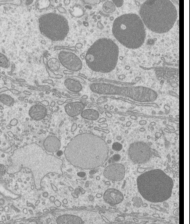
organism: Mouse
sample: Cilia; mouse epididymis